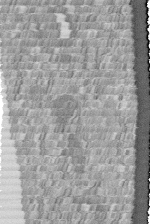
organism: Human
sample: Centriole in fibroblast cells